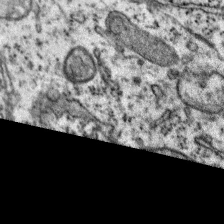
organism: Mouse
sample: Primary visual cortex